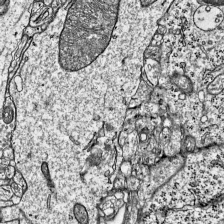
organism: Mouse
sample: Visual Cortex